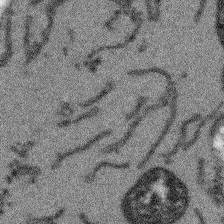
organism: Arabidopsis thaliana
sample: Root tip